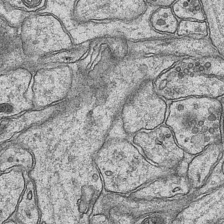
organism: Mouse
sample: CA1 Hippocampus